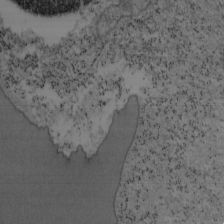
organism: Mouse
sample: OT-I killer T cells with ID8 ovarian cancer cells